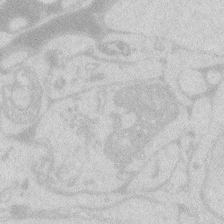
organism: Zebrafish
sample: Macrophage